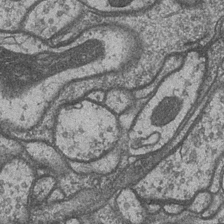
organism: Drosophila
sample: Optic medulla